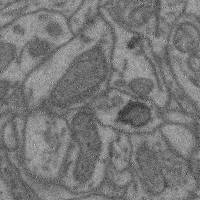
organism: Mouse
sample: Cerebral cortex